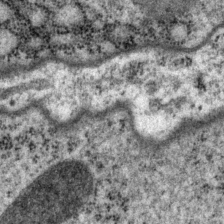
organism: P. pacificus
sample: Pharynx